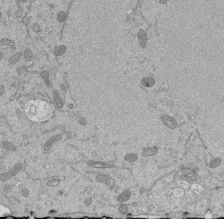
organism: Mouse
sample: ED-1 cell nuclei; centrioles